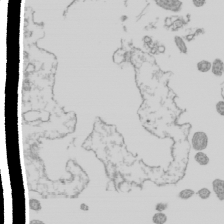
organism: Mouse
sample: Cilia; mouse epididymis